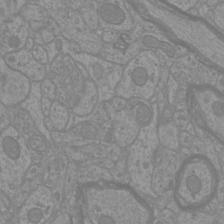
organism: Mouse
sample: Cortical neurons